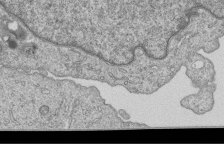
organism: Human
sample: MDA-MB-231 cells